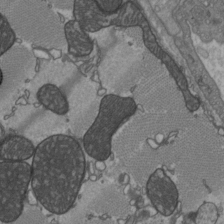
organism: C57BL Mouse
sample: Heart